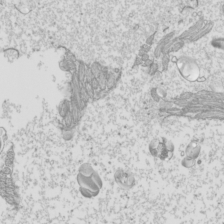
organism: Mouse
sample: Cilia; mouse epididymis